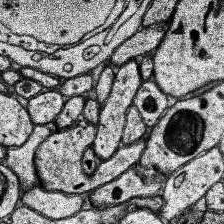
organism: Human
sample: Temporal Lobe